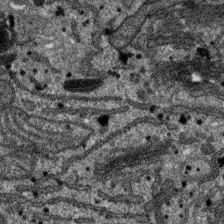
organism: Human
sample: Lung epithelial cells infected with SARS-CoV-2